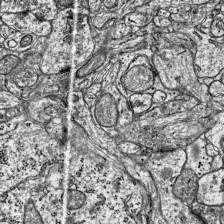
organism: Mouse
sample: Visual Cortex